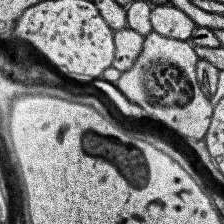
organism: Human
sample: Temporal Lobe